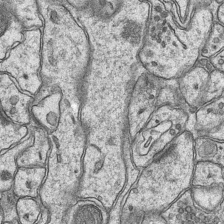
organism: Mouse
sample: CA1 Hippocampus